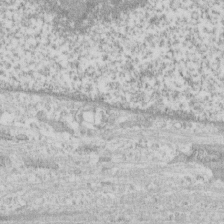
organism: Human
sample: CRL-1474